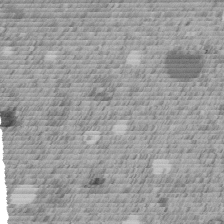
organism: C. elegans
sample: C. elegans embryo early stage